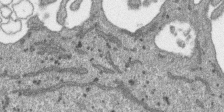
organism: Human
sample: Lung epithelial cells infected with SARS-CoV-2